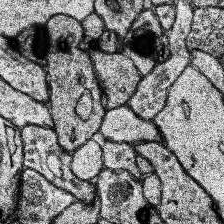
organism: Human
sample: Temporal Lobe